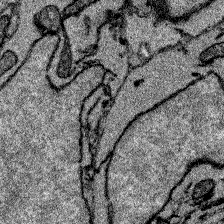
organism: Zebrafish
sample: Larval olfactory bulb